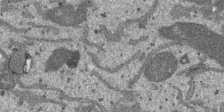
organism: Human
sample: Lung epithelial cells infected with SARS-CoV-2